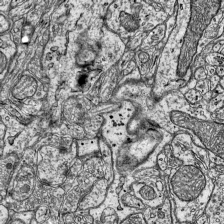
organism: Mouse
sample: Visual Cortex